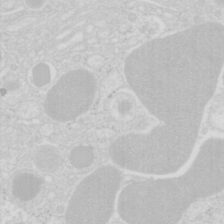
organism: Mouse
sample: Pancreas